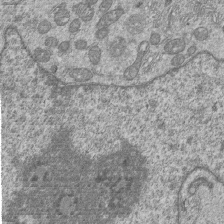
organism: Human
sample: MDA-MB-231 cells